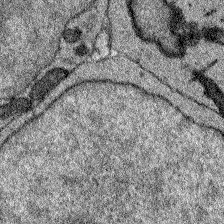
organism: Zebrafish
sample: Larval olfactory bulb